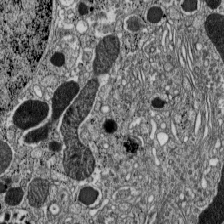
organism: C57BL Mouse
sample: Pancreatic islet